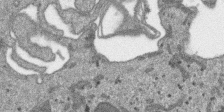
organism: Human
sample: Lung epithelial cells infected with SARS-CoV-2